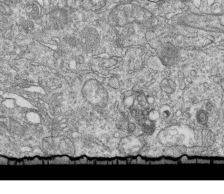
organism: Human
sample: HeLa cell HIV synapse